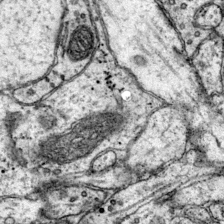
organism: Mouse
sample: Primary visual cortex